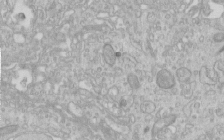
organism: Human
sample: Centriole in RPE cells